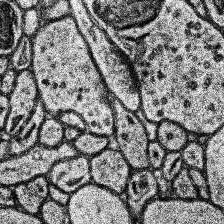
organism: Human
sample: Temporal Lobe